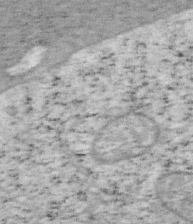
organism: Mouse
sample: OT-I killer T cells with ID8 ovarian cancer cells